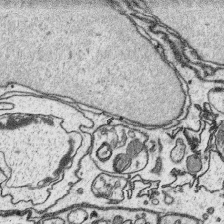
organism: Platynereis dumerilii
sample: Parapodia